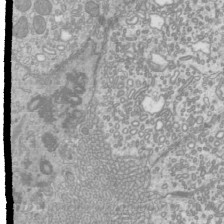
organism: Mouse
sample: Cilia; mouse epididymis